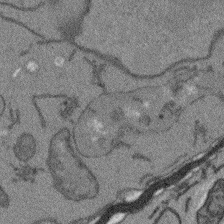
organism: Arabidopsis thaliana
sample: Root tip